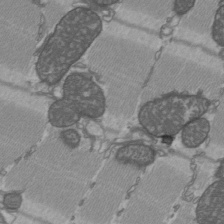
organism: C57BL Mouse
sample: Heart